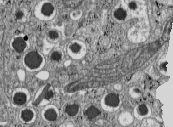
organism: C57BL Mouse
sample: Pancreatic islet